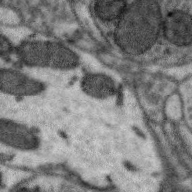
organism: Zebra finch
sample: Brain